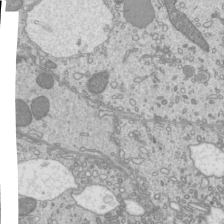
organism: Mouse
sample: Cilia; mouse epididymis